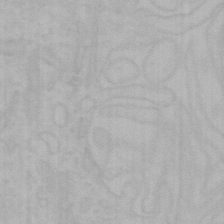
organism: Mouse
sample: Choroid plexus